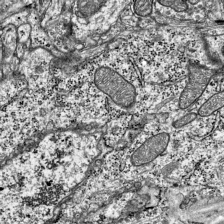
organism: Mouse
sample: Visual Cortex